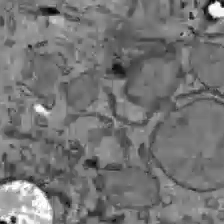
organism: C57BL Mouse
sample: Liver